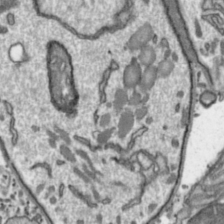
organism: Toxoplasma gondii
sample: Parasites in a vacuole inside a host cell